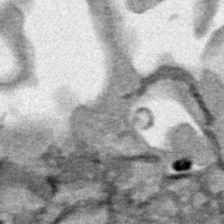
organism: Human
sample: Mitochondria in HCT116 cells